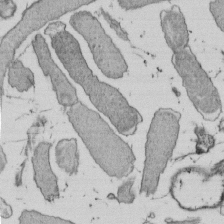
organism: E. coli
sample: Bacterial nucleoid